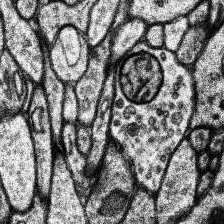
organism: Human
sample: Temporal Lobe